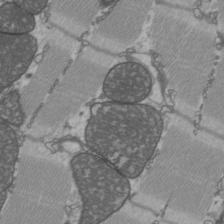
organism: C57BL Mouse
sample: Heart